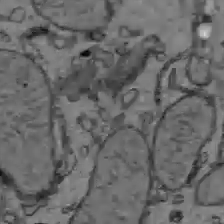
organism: C57BL Mouse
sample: Liver